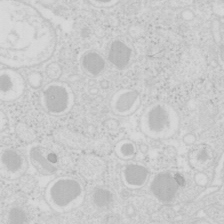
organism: Mouse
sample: Pancreas